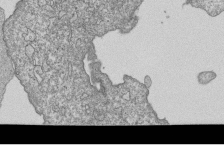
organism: Human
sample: MDA-MB-231 cells